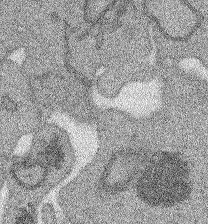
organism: Human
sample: HeLa cells